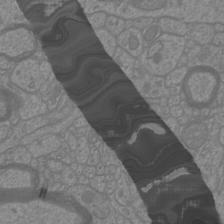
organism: Mouse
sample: Cortical neurons